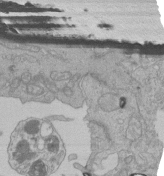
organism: Human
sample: Retinal organoid Rod and Cone cells